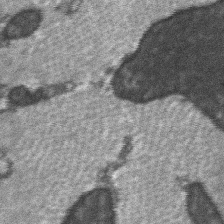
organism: C57BL Mouse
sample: Soleus